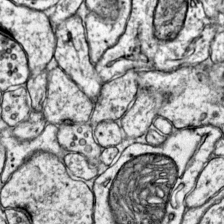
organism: Mouse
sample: Primary visual cortex